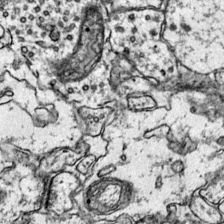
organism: Mouse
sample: Primary visual cortex